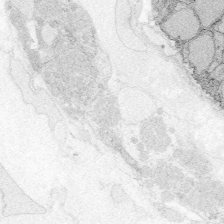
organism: Zebrafish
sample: Whole-Brain